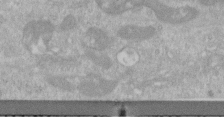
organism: Human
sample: Centriole in RPE cells